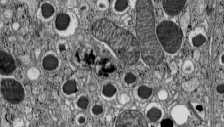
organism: C57BL Mouse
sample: Pancreatic islet